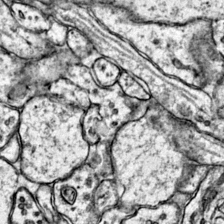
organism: Mouse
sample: Primary visual cortex